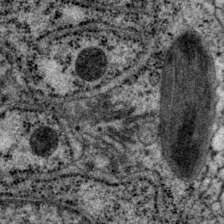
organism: P. pacificus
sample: Pharynx